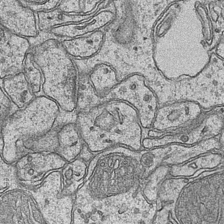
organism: Mouse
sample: CA1 Hippocampus